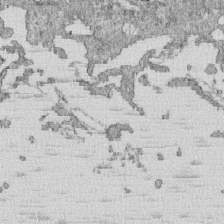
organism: Human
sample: HeLa cell HIV synapse